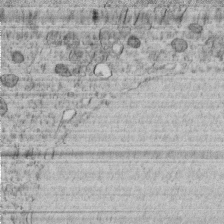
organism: C. elegans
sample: C. elegans embryo early stage